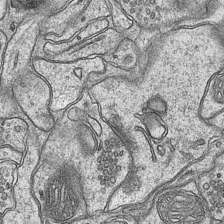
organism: Mouse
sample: CA1 Hippocampus